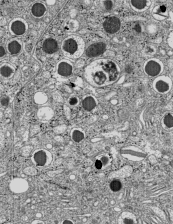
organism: C57BL Mouse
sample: Pancreatic islet